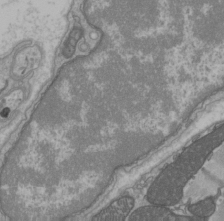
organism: C57BL Mouse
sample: Heart